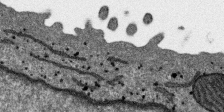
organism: Human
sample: Lung epithelial cells, uninfected (mock) control